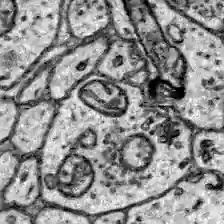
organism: Zebrafish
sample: Brain